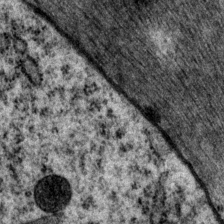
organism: P. pacificus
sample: Pharynx